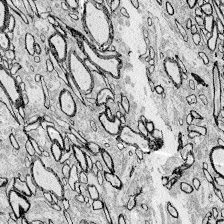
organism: Zebrafish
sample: Whole-Brain